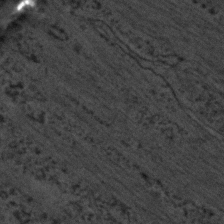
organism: C. elegans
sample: C. elegans embryo